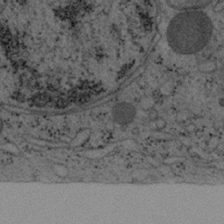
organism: Human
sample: HeLa cells